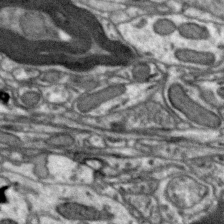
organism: Zebra finch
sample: Brain